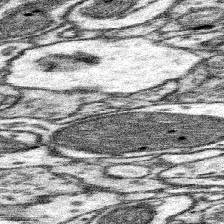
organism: Mouse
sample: Somatosensory cortex neuropil